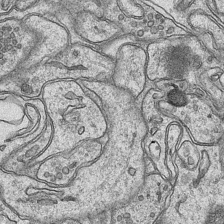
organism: Mouse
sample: CA1 Hippocampus